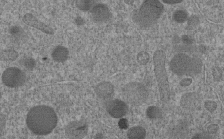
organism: C. elegans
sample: C. elegans embryo early stage